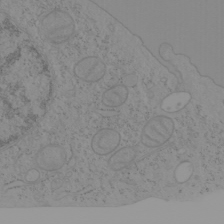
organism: Human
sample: HeLa cells